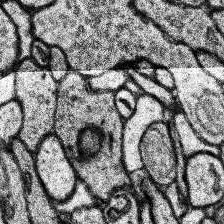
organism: Human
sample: Temporal Lobe